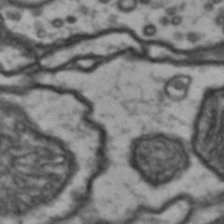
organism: Drosophila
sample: Brain